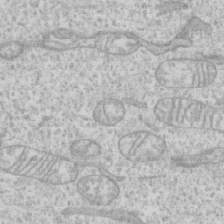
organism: Human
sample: CRL-1474